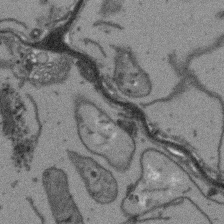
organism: Arabidopsis thaliana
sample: Root tip